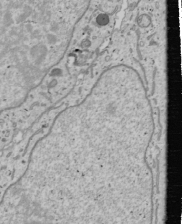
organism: Human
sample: Mitochondria in U2OS cells